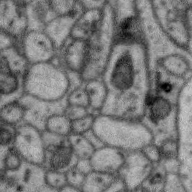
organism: Zebra finch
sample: Brain